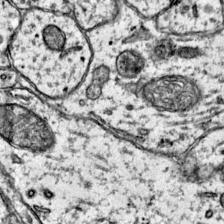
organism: Mouse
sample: Primary visual cortex